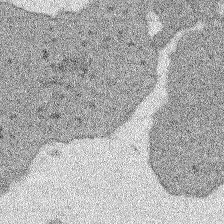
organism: Human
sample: HeLa cells